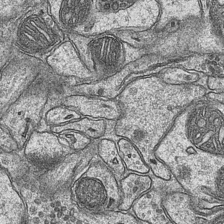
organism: Mouse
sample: CA1 Hippocampus